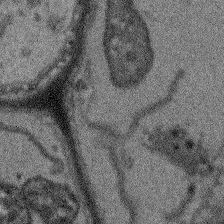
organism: Arabidopsis thaliana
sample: Root tip